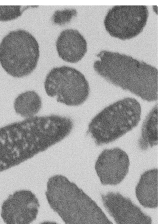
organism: E. coli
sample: Bacterial nucleoid